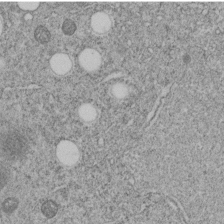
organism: C. elegans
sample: C. elegans embryo early stage